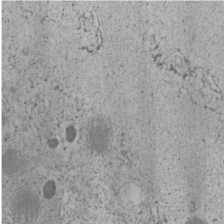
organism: C. elegans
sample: C. elegans embryo early stage